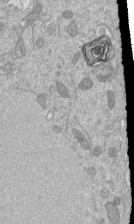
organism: Mouse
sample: ED-1 cell nuclei; centrioles